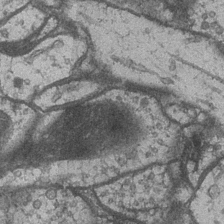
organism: Drosophila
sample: Optic medulla